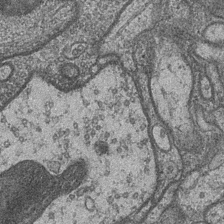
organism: Drosophila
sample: Optic medulla